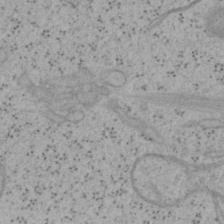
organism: Human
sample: HeLa cells